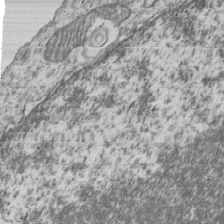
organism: Human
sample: MDA-MB-231 cells